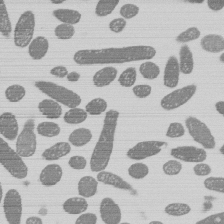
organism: E. coli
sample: Bacterial nucleoid